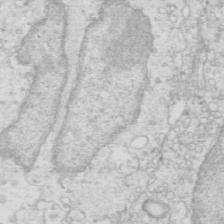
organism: Mouse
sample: Multiciliated cells